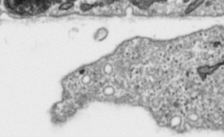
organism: Toxoplasma gondii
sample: Parasites in a vacuole inside a host cell